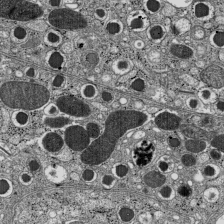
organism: C57BL Mouse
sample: Pancreatic islet